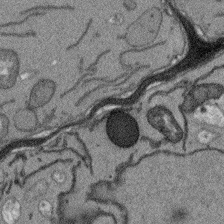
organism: Arabidopsis thaliana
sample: Root tip